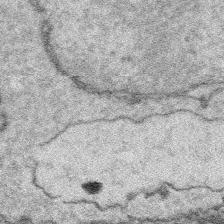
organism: Platynereis dumerilii